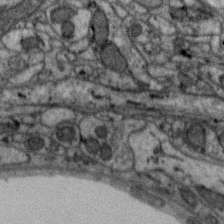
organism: Zebra finch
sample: Brain